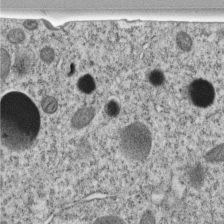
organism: C. elegans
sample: C. elegans embryo early stage